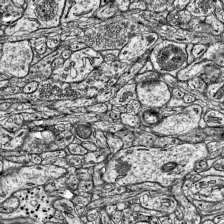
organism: Mouse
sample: Visual Cortex